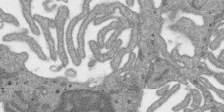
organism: Human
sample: Lung epithelial cells infected with SARS-CoV-2